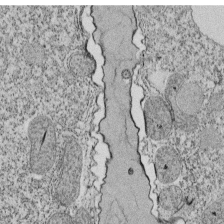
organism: Tetrahymena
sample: Cilia in tetrahymena